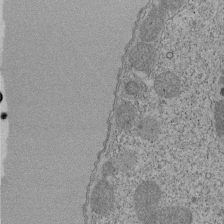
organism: Tetrahymena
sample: Cilia in tetrahymena